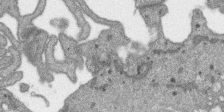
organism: Human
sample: Lung epithelial cells infected with SARS-CoV-2